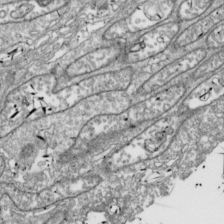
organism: Drosophila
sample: Cell division; meiosis; drosophila spermatocytes